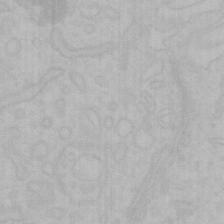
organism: Mouse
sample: Choroid plexus